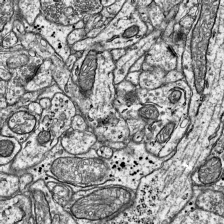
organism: Mouse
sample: Visual Cortex